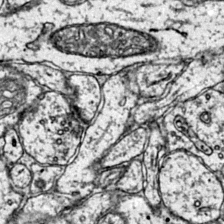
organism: Mouse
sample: Primary visual cortex